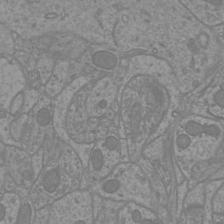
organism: Mouse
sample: Cortical neurons